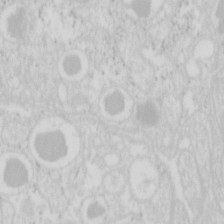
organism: Mouse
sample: Pancreas